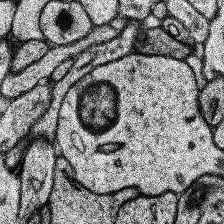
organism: Human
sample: Temporal Lobe